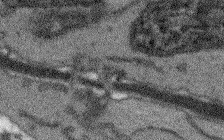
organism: Arabidopsis thaliana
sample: Root tip